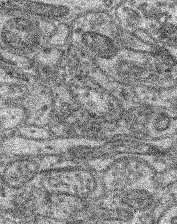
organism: Mouse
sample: Retina